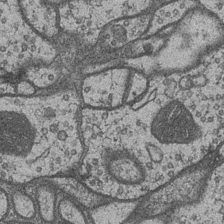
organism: Drosophila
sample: Optic medulla